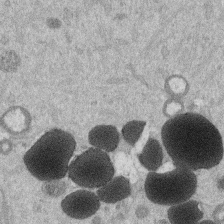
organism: Mouse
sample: Dividing mouse embryo 1 cell stage